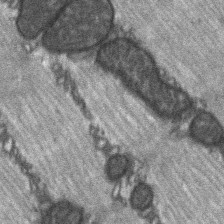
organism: C57BL Mouse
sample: Soleus